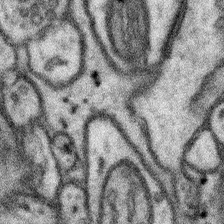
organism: Mouse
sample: Somatosensory cortex neuropil